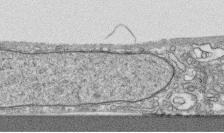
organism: Human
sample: CRL-1474